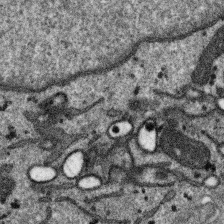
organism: Human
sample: Lung epithelial cells infected with SARS-CoV-2